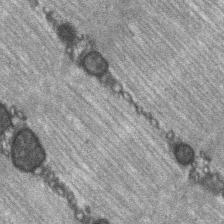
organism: C57BL Mouse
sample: Soleus